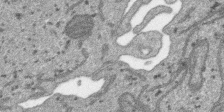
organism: Human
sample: Lung epithelial cells infected with SARS-CoV-2